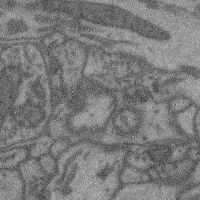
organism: Mouse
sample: Cerebral cortex